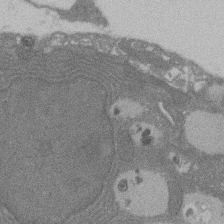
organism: Rat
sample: Salivary granule